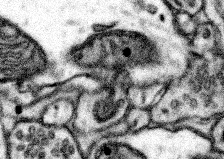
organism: Mouse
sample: Somatosensory cortex neuropil